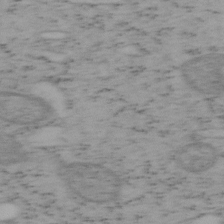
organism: Mouse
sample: OT-I killer T cells with ID8 ovarian cancer cells